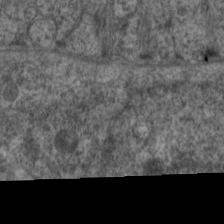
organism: C. elegans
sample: Pharynx